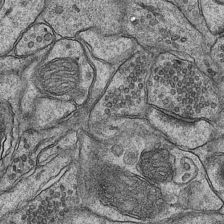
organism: Mouse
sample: CA1 Hippocampus